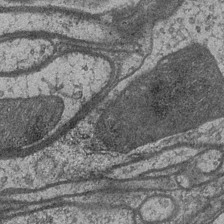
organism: Drosophila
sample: Optic medulla